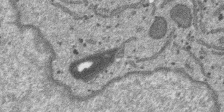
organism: Human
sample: Lung epithelial cells infected with SARS-CoV-2